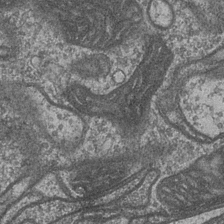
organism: Drosophila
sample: Optic medulla